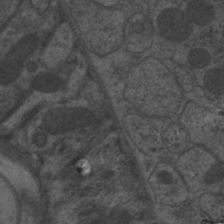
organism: C. elegans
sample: Pharynx